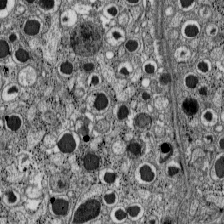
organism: C57BL Mouse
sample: Pancreatic islet